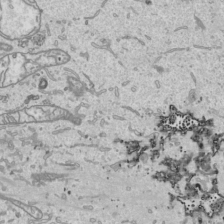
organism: Human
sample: Mitochondria in HCT116 cells